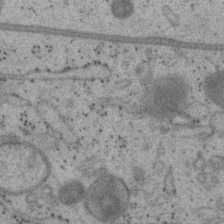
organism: Human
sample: HeLa cells